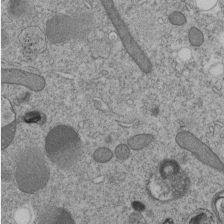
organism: C. elegans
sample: C. elegans embryo early stage